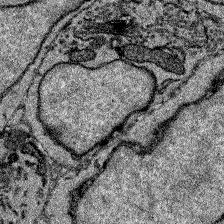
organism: Zebrafish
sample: Larval olfactory bulb